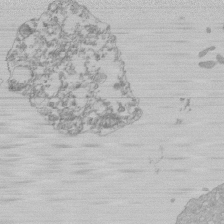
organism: Mouse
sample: Activated Pmel transgenic CD8+ T Cells